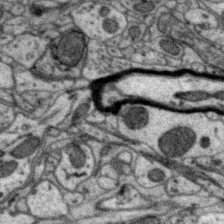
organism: Zebra finch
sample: Brain